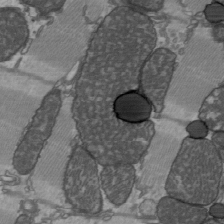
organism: C57BL Mouse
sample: Heart